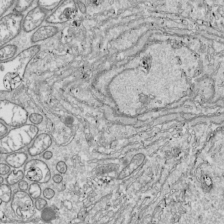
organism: Drosophila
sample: Cell division; meiosis; drosophila spermatocytes